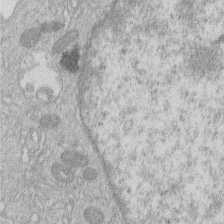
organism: Human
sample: Macrophage cells